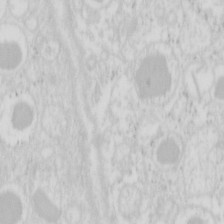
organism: Mouse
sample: Pancreas